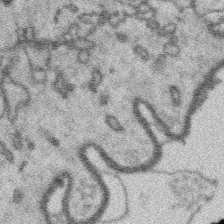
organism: Platynereis dumerilii